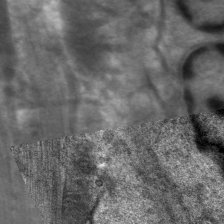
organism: C. elegans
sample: Pharynx